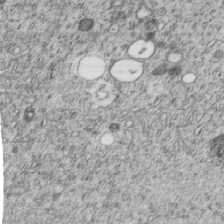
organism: C. elegans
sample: C. elegans embryo early stage